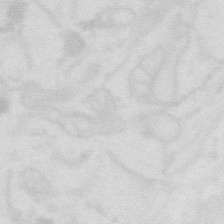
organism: Human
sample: HeLa cells